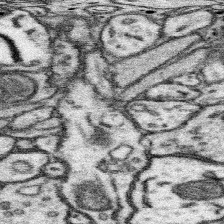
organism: Mouse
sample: Somatosensory cortex neuropil